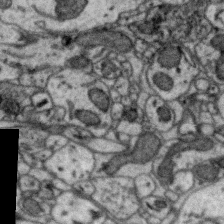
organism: Zebra finch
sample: Brain